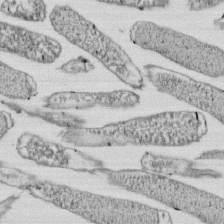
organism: E. coli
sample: Bacterial nucleoid